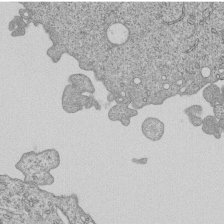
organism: Human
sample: MDA-MB-231 cells